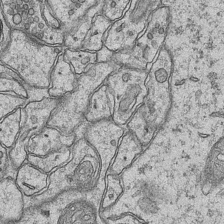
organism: Mouse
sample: CA1 Hippocampus